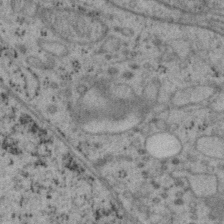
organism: Human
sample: HeLa cells